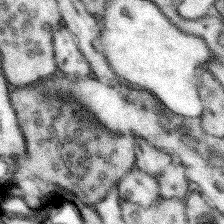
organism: Mouse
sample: Somatosensory cortex neuropil